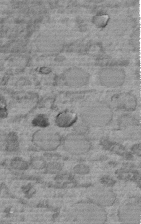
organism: C. elegans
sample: C. elegans embryo early stage